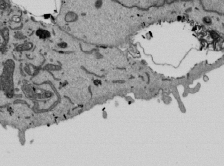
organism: Mouse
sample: ED-1 cell nuclei; centrioles